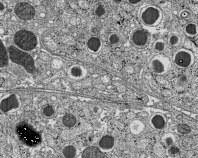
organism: C57BL Mouse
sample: Pancreatic islet